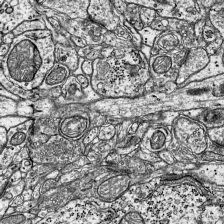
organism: Mouse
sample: Visual Cortex